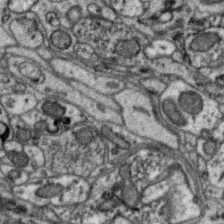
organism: Zebra finch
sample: Brain